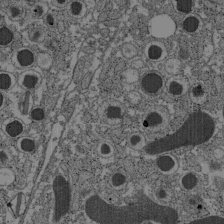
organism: C57BL Mouse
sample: Pancreatic islet